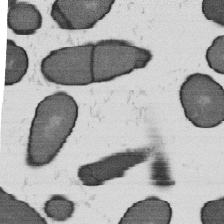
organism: B. subtilis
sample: Bacterial spore